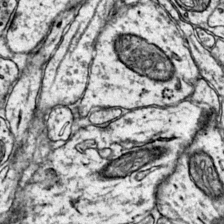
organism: Mouse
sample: Primary visual cortex